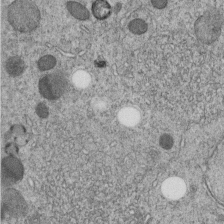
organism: C. elegans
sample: C. elegans embryo early stage